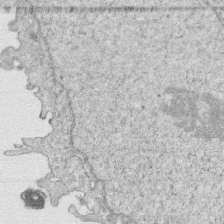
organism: Human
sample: HeLa cell HIV synapse